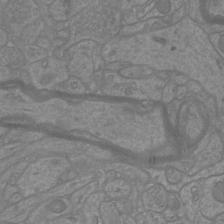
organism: Mouse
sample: Cortical neurons